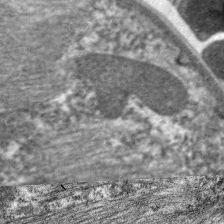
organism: C. elegans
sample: Pharynx